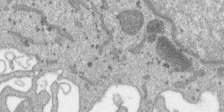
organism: Human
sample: Lung epithelial cells infected with SARS-CoV-2